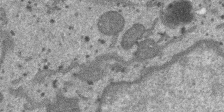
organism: Human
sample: Lung epithelial cells infected with SARS-CoV-2